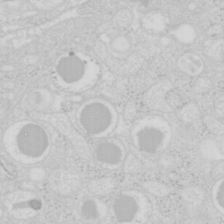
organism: Mouse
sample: Pancreas